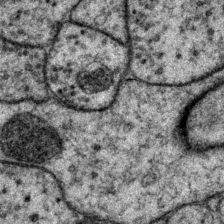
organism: P. pacificus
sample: Pharynx